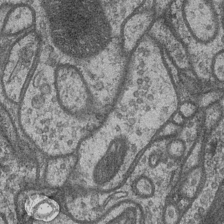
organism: Drosophila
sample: Optic medulla